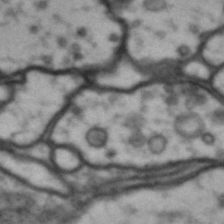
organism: Drosophila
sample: Brain